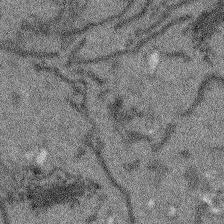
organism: Arabidopsis thaliana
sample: Root tip